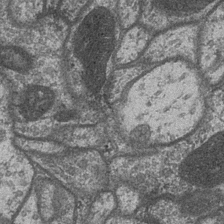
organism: Drosophila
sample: Optic medulla